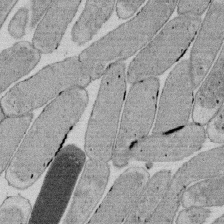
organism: E. coli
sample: Bacterial nucleoid